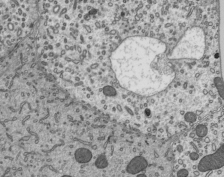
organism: Mouse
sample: Mouse epididymis efferent ductule cilia